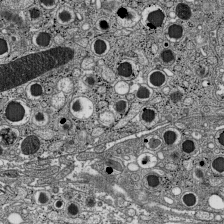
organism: C57BL Mouse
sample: Pancreatic islet